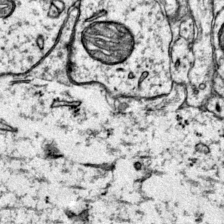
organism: Mouse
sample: Primary visual cortex